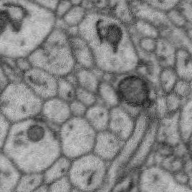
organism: Zebra finch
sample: Brain